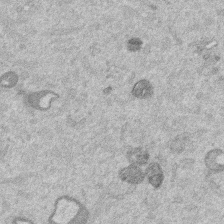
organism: Mouse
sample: Dividing mouse embryo 1 cell stage